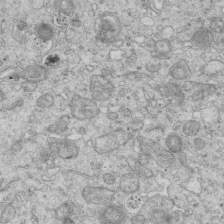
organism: Mouse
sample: Multiciliated cells